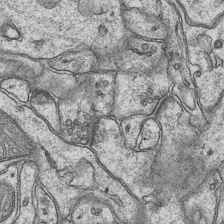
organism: Mouse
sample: CA1 Hippocampus